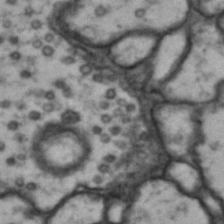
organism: Drosophila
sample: Brain